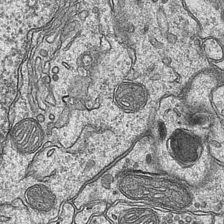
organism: Mouse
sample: CA1 Hippocampus